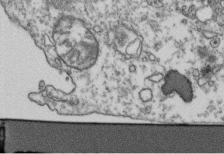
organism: Human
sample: Activated Jurkat CD4+ T cells